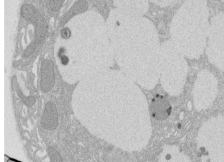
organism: Rat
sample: Salivary granule